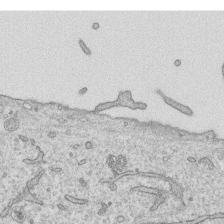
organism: Human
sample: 1205lu cells